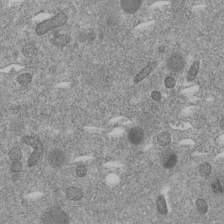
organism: C. elegans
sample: C. elegans embryo early stage